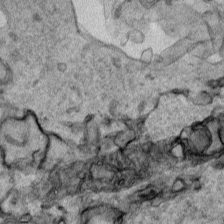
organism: Human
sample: Mitochondria in HCT116 cells